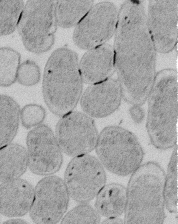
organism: E. coli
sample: Bacterial nucleoid